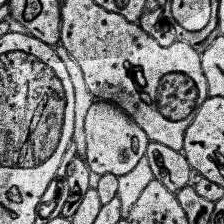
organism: Human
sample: Temporal Lobe